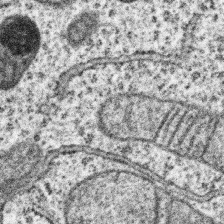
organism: Human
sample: HeLa cells